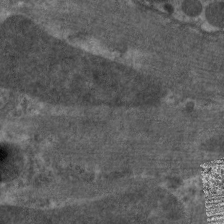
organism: C. elegans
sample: Pharynx